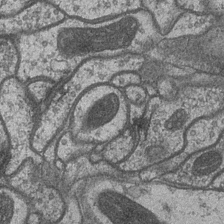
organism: Drosophila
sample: Optic medulla